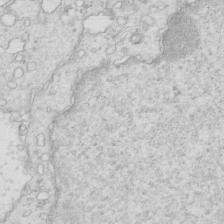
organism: Mouse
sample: Multiciliated cells